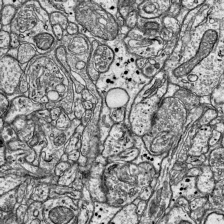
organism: Mouse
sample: Visual Cortex